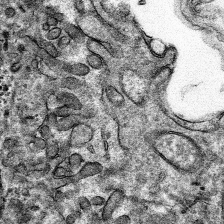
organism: Mouse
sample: Mouse hepatocytes